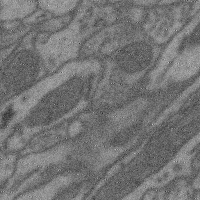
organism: Mouse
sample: Cerebral cortex